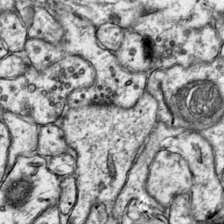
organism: Mouse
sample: Primary visual cortex